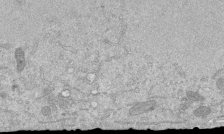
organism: Mouse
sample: ED-1 cell nuclei; centrioles